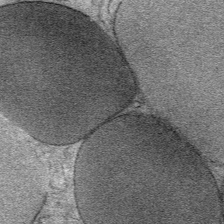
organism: Mouse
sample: Mouse Salivary gland